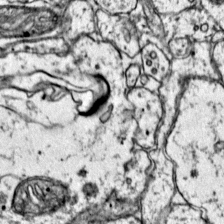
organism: Mouse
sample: Primary visual cortex